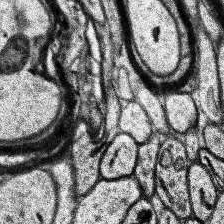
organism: Human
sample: Temporal Lobe